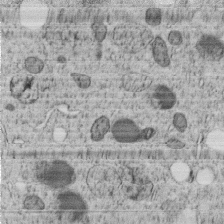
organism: C. elegans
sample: C. elegans embryo early stage